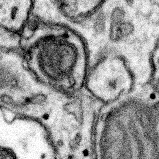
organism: Mouse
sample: Somatosensory cortex neuropil